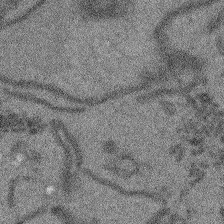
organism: Arabidopsis thaliana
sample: Root tip